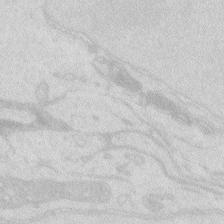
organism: Zebrafish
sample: Macrophage